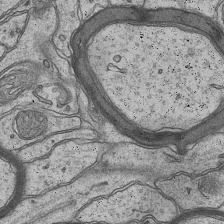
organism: Mouse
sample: CA1 Hippocampus